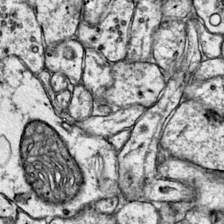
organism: Mouse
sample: Primary visual cortex